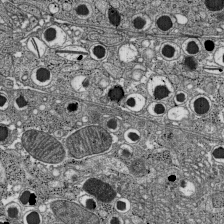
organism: C57BL Mouse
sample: Pancreatic islet